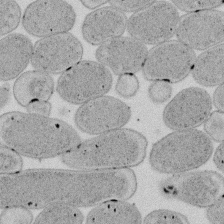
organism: E. coli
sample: Bacterial nucleoid